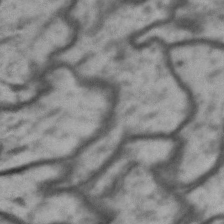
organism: Drosophila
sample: Brain